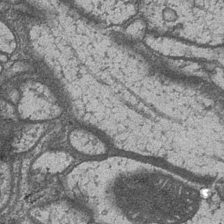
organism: Drosophila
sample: Optic medulla